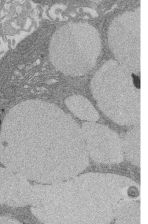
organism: Rat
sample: Salivary granule